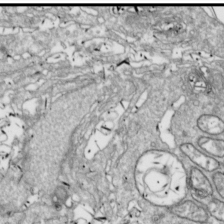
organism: Drosophila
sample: Cell division; meiosis; drosophila spermatocytes